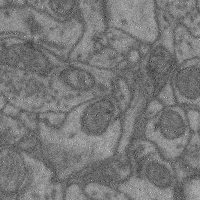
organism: Mouse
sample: Cerebral cortex